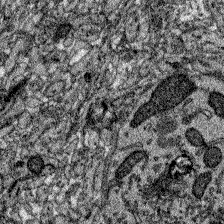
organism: Zebrafish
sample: Larval olfactory bulb